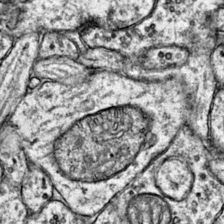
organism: Mouse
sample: Primary visual cortex